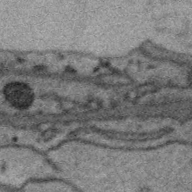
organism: Zebra finch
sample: Brain